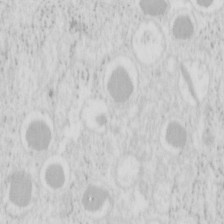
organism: Mouse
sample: Pancreas